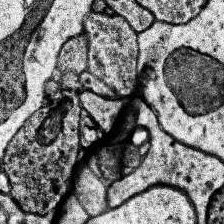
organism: Human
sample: Temporal Lobe